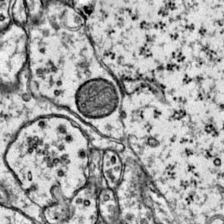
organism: Mouse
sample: Primary visual cortex